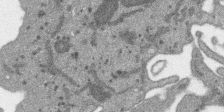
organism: Human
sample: Lung epithelial cells infected with SARS-CoV-2